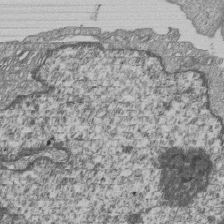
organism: Human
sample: MDA-MB-231 cells